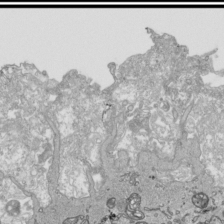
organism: Human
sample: Mitochondria in HCT116 cells